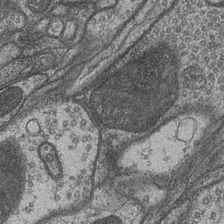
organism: Drosophila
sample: Optic medulla